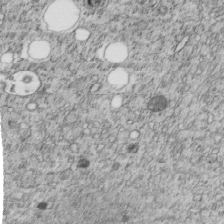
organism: C. elegans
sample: C. elegans embryo early stage